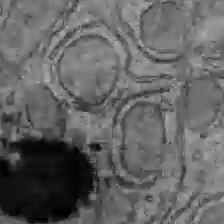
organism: C57BL Mouse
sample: Liver